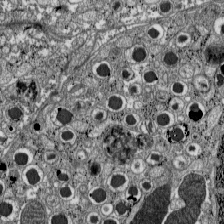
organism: C57BL Mouse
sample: Pancreatic islet